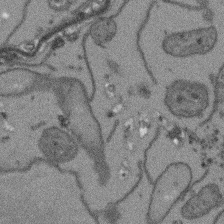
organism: Arabidopsis thaliana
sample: Root tip